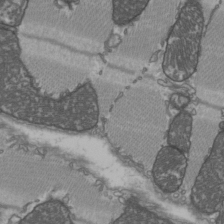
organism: C57BL Mouse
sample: Heart